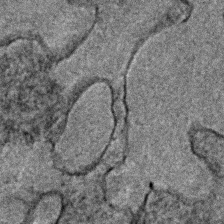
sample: Trachea